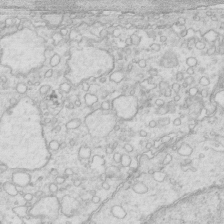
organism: Mouse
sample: Multiciliated cells